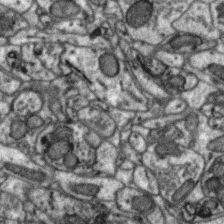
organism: Zebra finch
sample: Brain